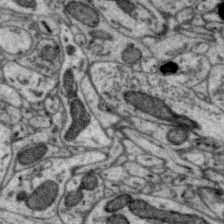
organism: Zebra finch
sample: Brain